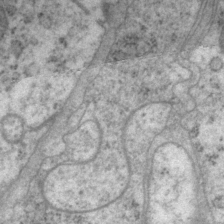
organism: P. pacificus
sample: Pharynx